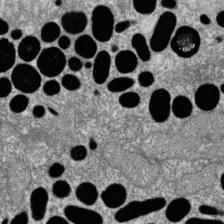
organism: Zebrafish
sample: Cilia; retinal pigment epithelium